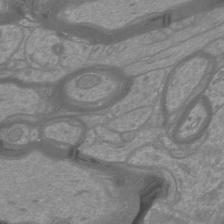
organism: Mouse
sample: Cortical neurons